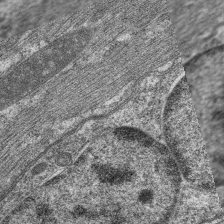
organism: C. elegans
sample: Pharynx